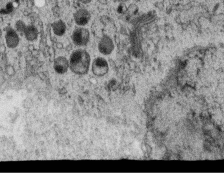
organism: C. elegans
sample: C. elegans oocyte; sperm cells